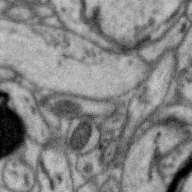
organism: Zebra finch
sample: Brain